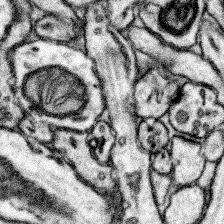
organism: Mouse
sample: Somatosensory cortex neuropil